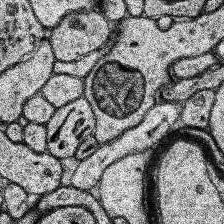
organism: Human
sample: Temporal Lobe